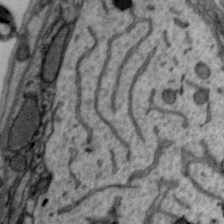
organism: Zebra finch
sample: Brain